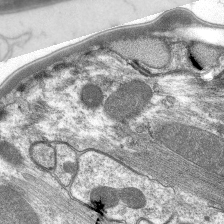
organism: C. elegans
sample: Pharynx